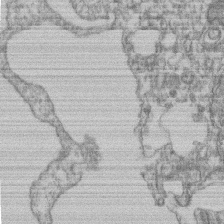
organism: Mouse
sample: T cell stromal cell synapse